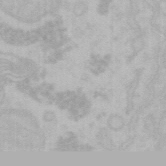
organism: Mouse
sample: Choroid plexus